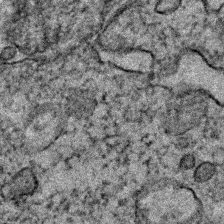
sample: Trachea